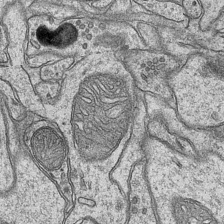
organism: Mouse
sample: CA1 Hippocampus